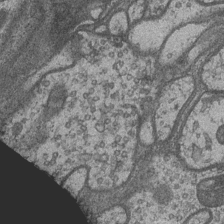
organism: Drosophila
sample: Optic medulla